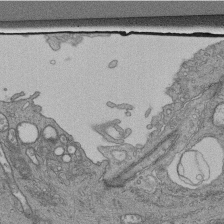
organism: Human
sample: Retinal organoid Rod and Cone cells